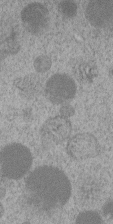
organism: C. elegans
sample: C. elegans embryo early stage